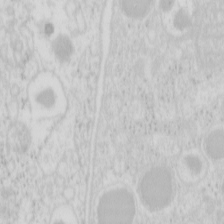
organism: Mouse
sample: Pancreas